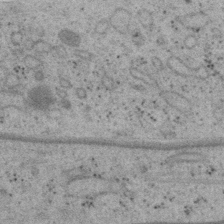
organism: Human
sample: HeLa cells